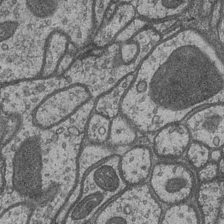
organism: Drosophila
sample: Optic medulla